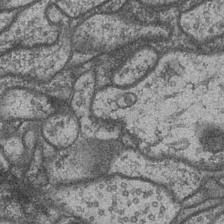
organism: Drosophila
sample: Optic medulla